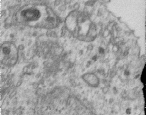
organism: Human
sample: Centriole in RPE cells